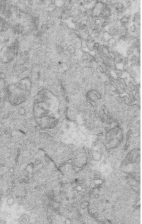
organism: Mouse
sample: Multiciliated cells